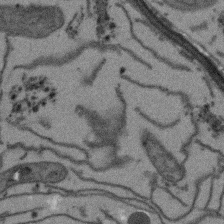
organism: Arabidopsis thaliana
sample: Root tip